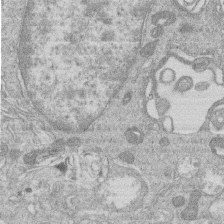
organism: Human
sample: Macrophage cells